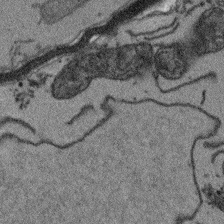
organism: Arabidopsis thaliana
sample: Root tip